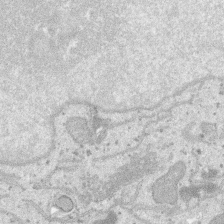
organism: Human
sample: Lung epithelial cells infected with SARS-CoV-2